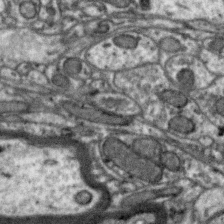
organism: Zebra finch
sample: Brain